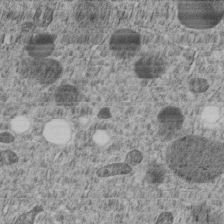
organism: C. elegans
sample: C. elegans embryo early stage